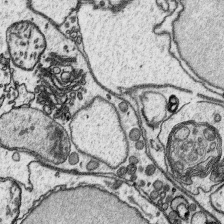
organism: Platynereis dumerilii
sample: Parapodia